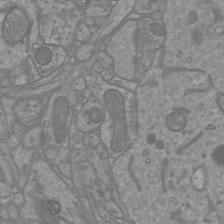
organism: Mouse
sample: Cortical neurons